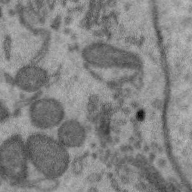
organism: Zebra finch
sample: Brain